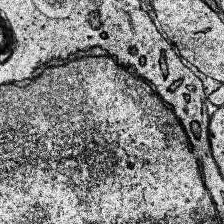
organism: Human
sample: Temporal Lobe